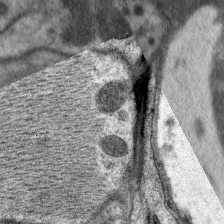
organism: C. elegans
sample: Pharynx